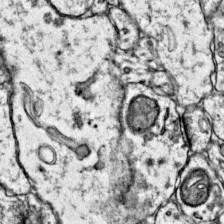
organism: Mouse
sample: Primary visual cortex